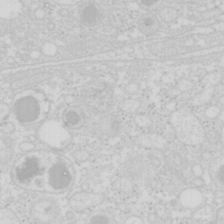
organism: Mouse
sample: Pancreas